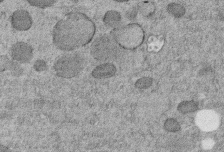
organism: C. elegans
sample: C. elegans embryo early stage